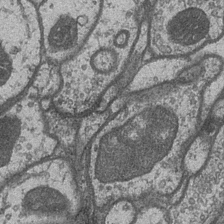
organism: Drosophila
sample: Optic medulla